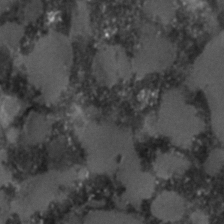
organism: C. elegans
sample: C. elegans embryo